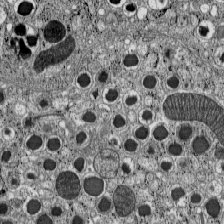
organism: C57BL Mouse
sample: Pancreatic islet